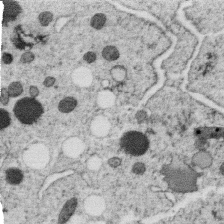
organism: C. elegans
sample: C. elegans oocyte; sperm cells